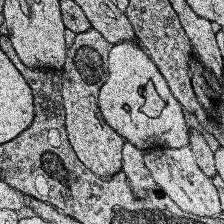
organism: Human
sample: Temporal Lobe